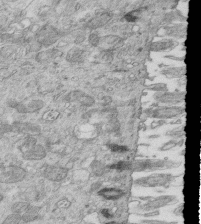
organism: Mouse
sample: Multiciliated cells